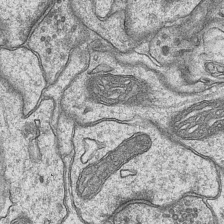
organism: Mouse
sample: CA1 Hippocampus